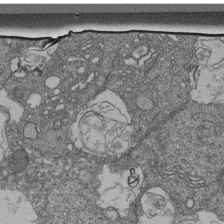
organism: Human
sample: Retinal organoid Rod and Cone cells